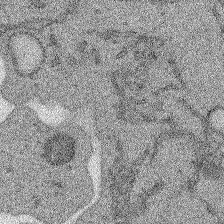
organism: Human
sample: HeLa cells